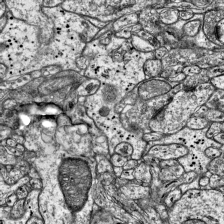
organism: Mouse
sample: Visual Cortex